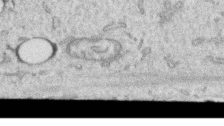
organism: Human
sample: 1205lu cells